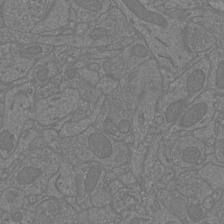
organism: Mouse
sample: Cortical neurons